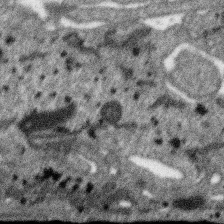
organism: Human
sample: Lung epithelial cells infected with SARS-CoV-2